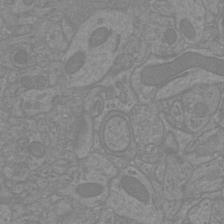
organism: Mouse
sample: Cortical neurons